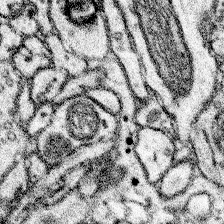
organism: Mouse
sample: Somatosensory cortex neuropil